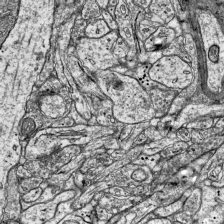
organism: Mouse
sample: Visual Cortex